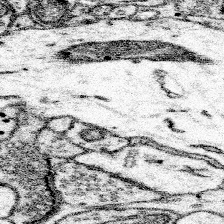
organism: Mouse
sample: Somatosensory cortex neuropil